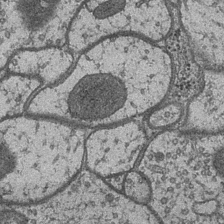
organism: Drosophila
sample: Optic medulla